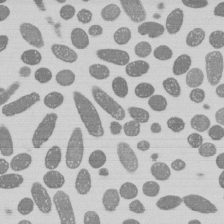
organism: E. coli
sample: Bacterial nucleoid